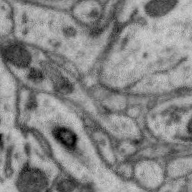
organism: Zebra finch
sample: Brain